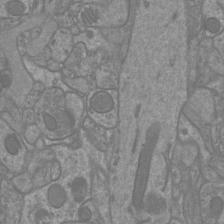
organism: Mouse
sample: Cortical neurons